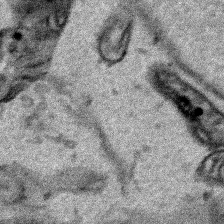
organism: Human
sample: Mitochondria in HCT116 cells